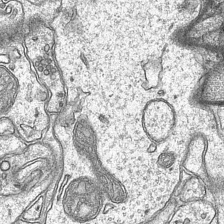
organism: Mouse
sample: CA1 Hippocampus